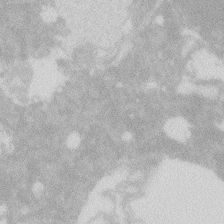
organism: Zebrafish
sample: Macrophage